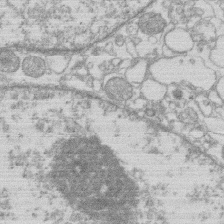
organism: Human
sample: Macrophage cells